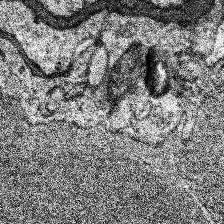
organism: Human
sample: Temporal Lobe